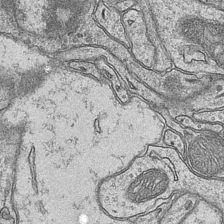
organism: Mouse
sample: CA1 Hippocampus